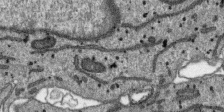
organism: Human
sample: Lung epithelial cells, uninfected (mock) control